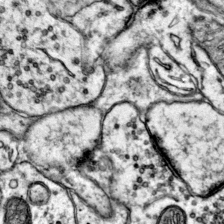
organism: Mouse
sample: Primary visual cortex